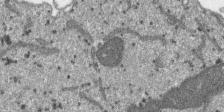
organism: Human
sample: Lung epithelial cells infected with SARS-CoV-2